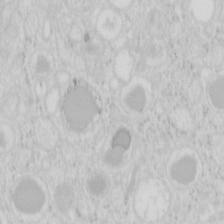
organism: Mouse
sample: Pancreas